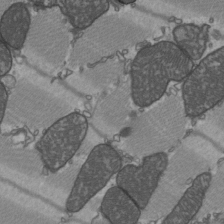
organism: C57BL Mouse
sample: Heart